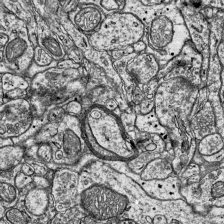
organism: Mouse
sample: Visual Cortex